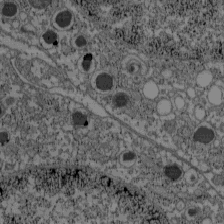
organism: C57BL Mouse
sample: Pancreatic islet